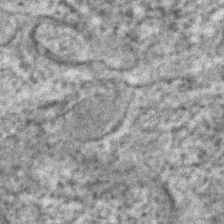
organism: C. elegans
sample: C. elegans embryo